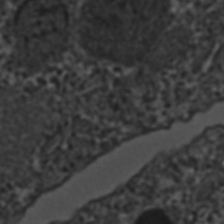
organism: C. elegans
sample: C. elegans embryo